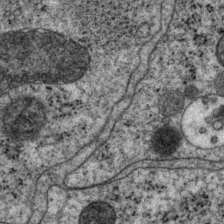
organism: P. pacificus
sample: Pharynx